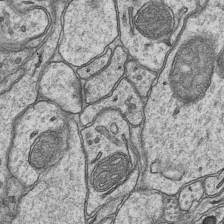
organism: Mouse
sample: CA1 Hippocampus